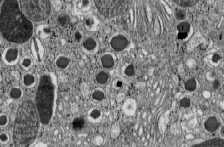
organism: C57BL Mouse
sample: Pancreatic islet